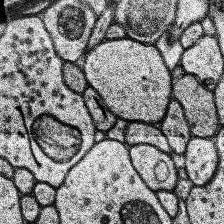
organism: Human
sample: Temporal Lobe